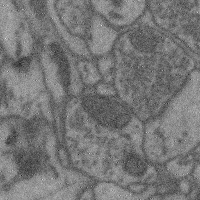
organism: Mouse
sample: Cerebral cortex